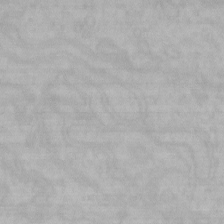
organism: Mouse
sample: Choroid plexus